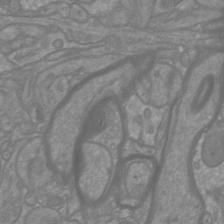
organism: Mouse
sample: Cortical neurons